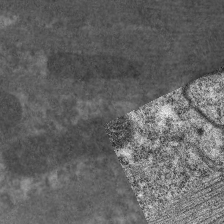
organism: C. elegans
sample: Pharynx